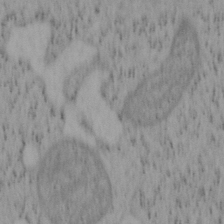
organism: Mouse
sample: OT-I killer T cells with ID8 ovarian cancer cells